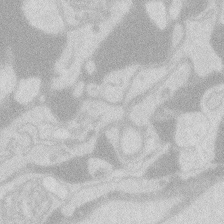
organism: Zebrafish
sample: Macrophage